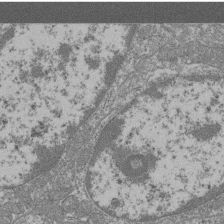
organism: Mouse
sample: Glomerulus